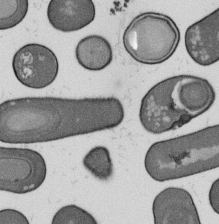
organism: B. subtilis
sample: Bacterial spore